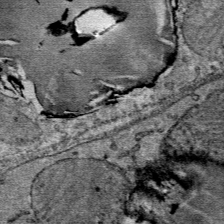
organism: Mouse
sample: Mouse Salivary gland